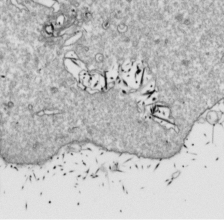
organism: Drosophila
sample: Cell division; meiosis; drosophila spermatocytes